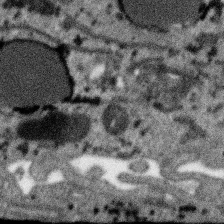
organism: Human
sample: Lung epithelial cells infected with SARS-CoV-2